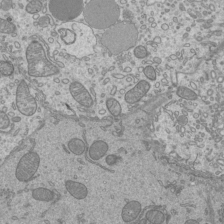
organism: Mouse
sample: Cilia; mouse epididymis